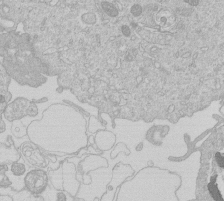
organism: Human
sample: Macrophage cells